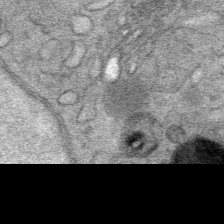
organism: Mouse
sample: Mouse Salivary gland